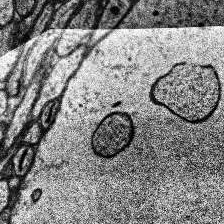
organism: Human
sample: Temporal Lobe